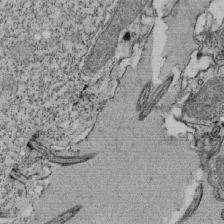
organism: Tetrahymena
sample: Cilia in tetrahymena